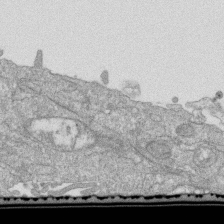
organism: Human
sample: HeLa cell HIV synapse